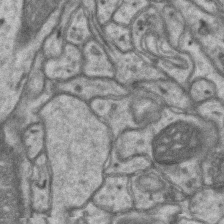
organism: Mouse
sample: CA1 Hippocampus